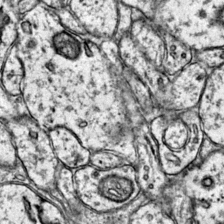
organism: Mouse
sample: Primary visual cortex